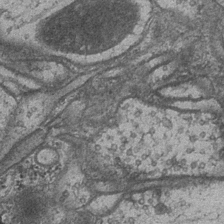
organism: Drosophila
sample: Optic medulla